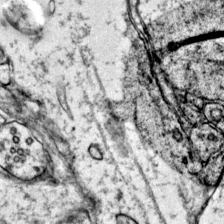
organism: Mouse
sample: Primary visual cortex